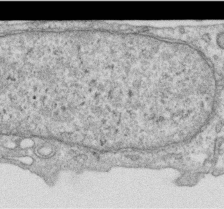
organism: Human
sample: Centriole in RPE cells